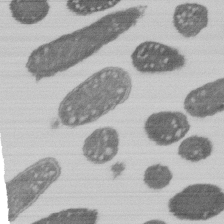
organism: E. coli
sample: Bacterial nucleoid